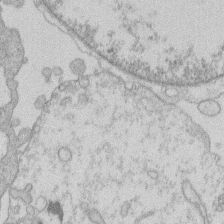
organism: Human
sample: Macrophage cells